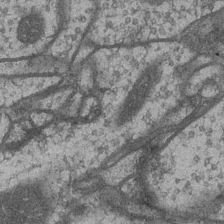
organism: Drosophila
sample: Optic medulla